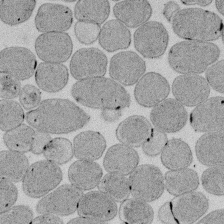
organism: E. coli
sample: Bacterial nucleoid